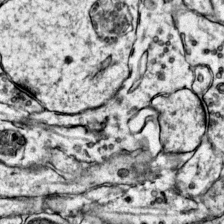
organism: Mouse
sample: Primary visual cortex